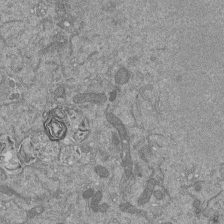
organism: Mouse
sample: ED-1 cell nuclei; centrioles